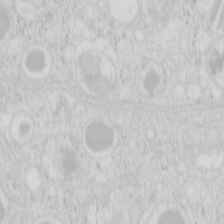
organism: Mouse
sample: Pancreas